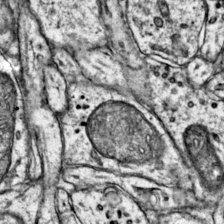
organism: Mouse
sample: Primary visual cortex